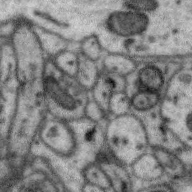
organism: Zebra finch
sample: Brain